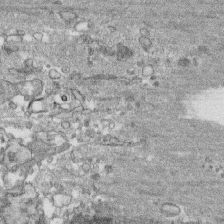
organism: Human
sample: CRL-1474